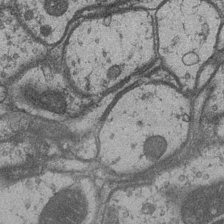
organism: Drosophila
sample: Optic medulla